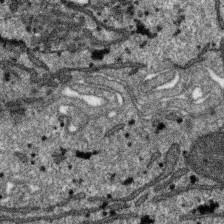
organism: Human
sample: Lung epithelial cells infected with SARS-CoV-2